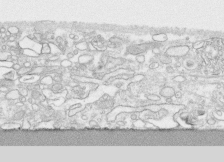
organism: Human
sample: CRL-1474